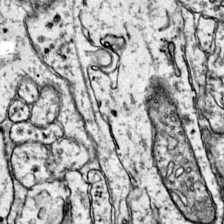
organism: Mouse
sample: Primary visual cortex